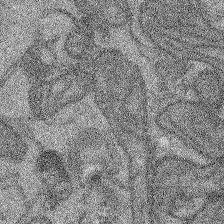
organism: Human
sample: HeLa cells